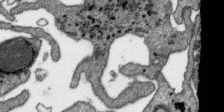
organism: Human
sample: Lung epithelial cells, uninfected (mock) control